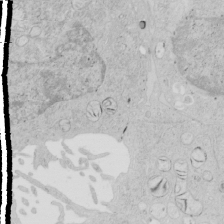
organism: Human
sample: Mitochondria in HCT116 cells